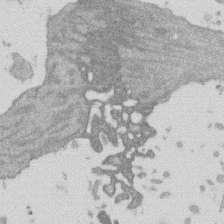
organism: Mouse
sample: Dividing mouse embryo 1 cell stage